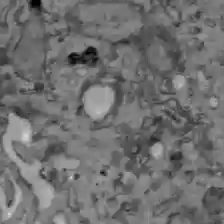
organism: C57BL Mouse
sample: Liver